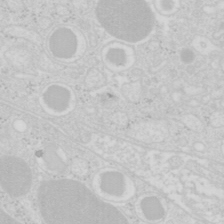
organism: Mouse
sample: Pancreas